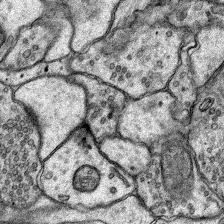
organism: Rat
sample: Hippocampus